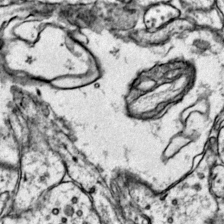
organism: Mouse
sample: Primary visual cortex